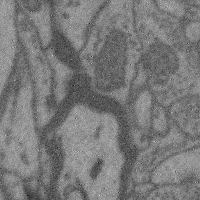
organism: Mouse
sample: Cerebral cortex